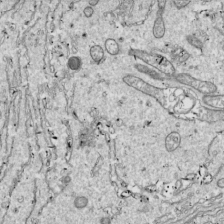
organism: Drosophila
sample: Cell division; meiosis; drosophila spermatocytes